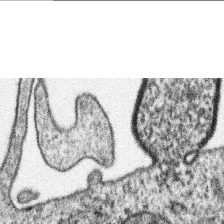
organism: Human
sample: HeLa cells